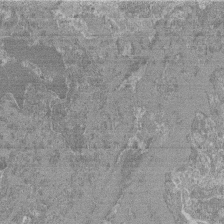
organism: Mouse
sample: Glomerulus